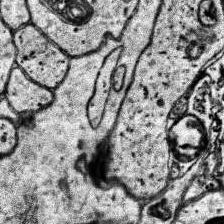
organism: Human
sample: Temporal Lobe